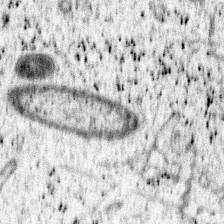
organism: Human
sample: HeLa cells